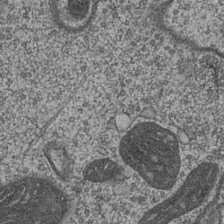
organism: Drosophila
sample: Optic medulla